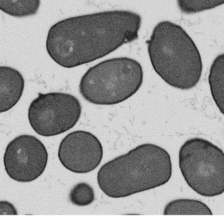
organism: B. subtilis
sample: Bacterial spore